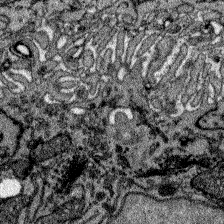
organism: Zebrafish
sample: Larval olfactory bulb